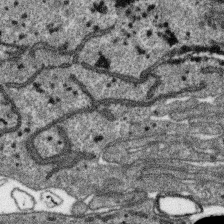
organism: Human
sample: Lung epithelial cells infected with SARS-CoV-2